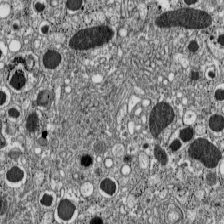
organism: C57BL Mouse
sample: Pancreatic islet